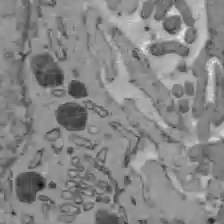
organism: C57BL Mouse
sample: Liver